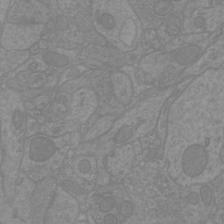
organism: Mouse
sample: Cortical neurons